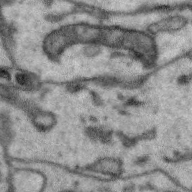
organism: Zebra finch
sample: Brain